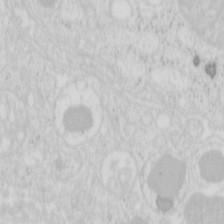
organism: Mouse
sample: Pancreas